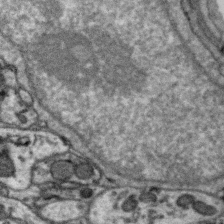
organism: Zebra finch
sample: Brain